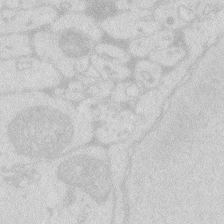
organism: Zebrafish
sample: Macrophage